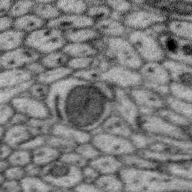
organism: Zebra finch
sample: Brain